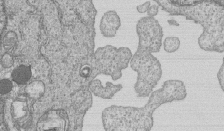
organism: Human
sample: MDA-MB-231 cells